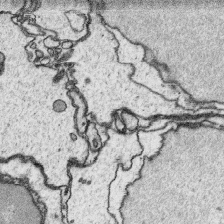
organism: Platynereis dumerilii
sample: Parapodia